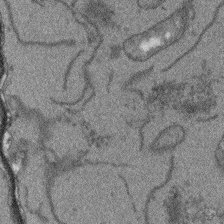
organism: Arabidopsis thaliana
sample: Root tip